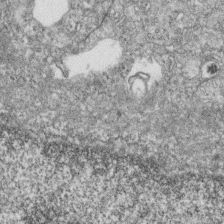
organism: Zebrafish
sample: Cilia; retinal pigment epithelium